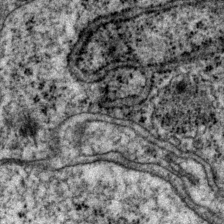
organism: P. pacificus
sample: Pharynx